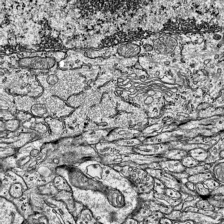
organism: Mouse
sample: Visual Cortex